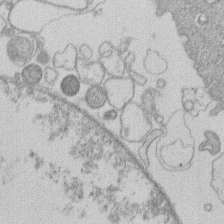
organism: Human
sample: Macrophage cells